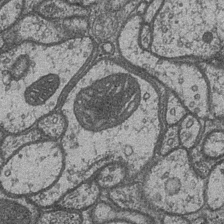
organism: Drosophila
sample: Optic medulla